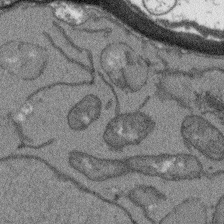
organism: Arabidopsis thaliana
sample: Root tip